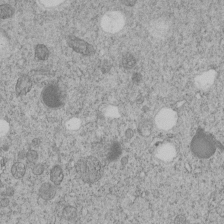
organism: C. elegans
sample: C. elegans embryo early stage